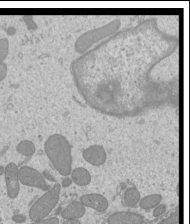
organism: Mouse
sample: Cilia; mouse epididymis